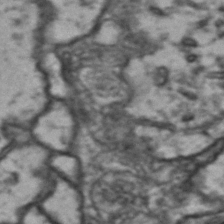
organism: Drosophila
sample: Brain